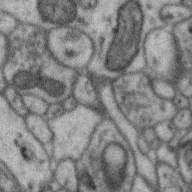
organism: Zebra finch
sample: Brain